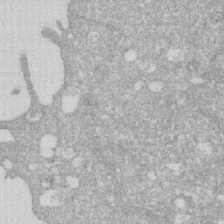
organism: Human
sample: HIV infected U937 cells